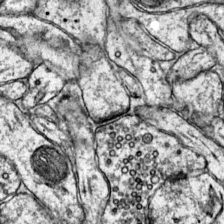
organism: Mouse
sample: Primary visual cortex